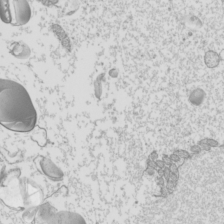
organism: Mouse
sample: Cilia; mouse epididymis